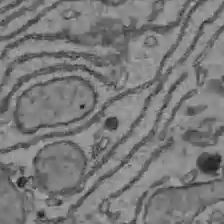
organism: C57BL Mouse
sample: Liver